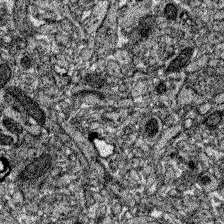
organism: Zebrafish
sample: Larval olfactory bulb